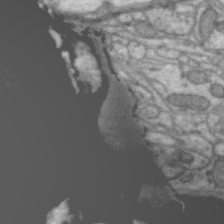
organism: Zebra finch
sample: Brain